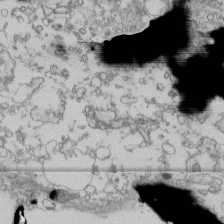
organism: Human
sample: Fibroblast cells